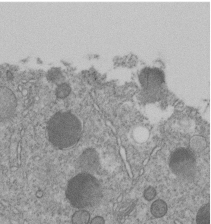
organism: C. elegans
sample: C. elegans embryo early stage